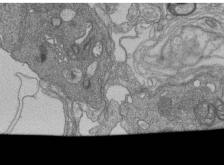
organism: Human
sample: Retinal organoid Rod and Cone cells